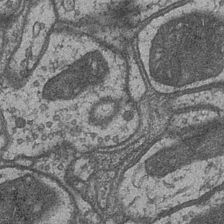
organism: Drosophila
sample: Optic medulla